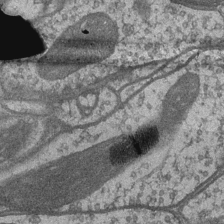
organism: Drosophila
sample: Optic medulla